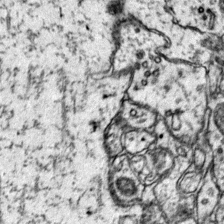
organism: Mouse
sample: Primary visual cortex